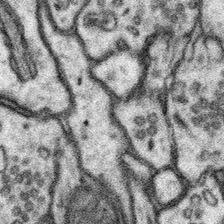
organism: Mouse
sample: Somatosensory cortex neuropil